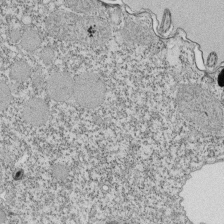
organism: Tetrahymena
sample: Cilia in tetrahymena